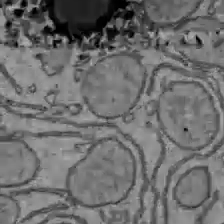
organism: C57BL Mouse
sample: Liver